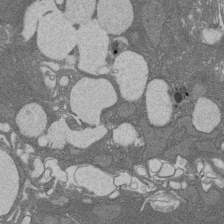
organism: Rat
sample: Salivary granule